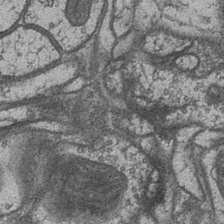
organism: Drosophila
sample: Optic medulla